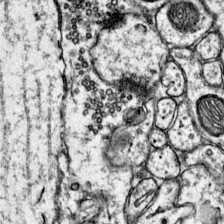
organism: Mouse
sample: Primary visual cortex